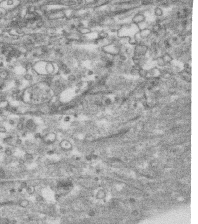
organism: Human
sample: CRL-1474